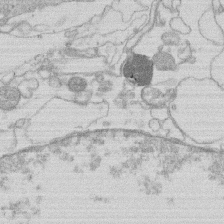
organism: Human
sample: Macrophage cells